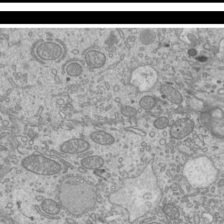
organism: Mouse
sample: Cilia; mouse epididymis